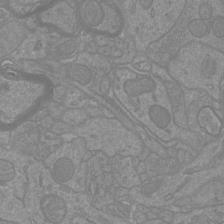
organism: Mouse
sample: Cortical neurons